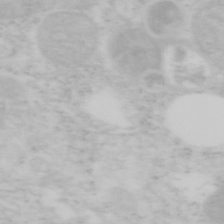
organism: Mouse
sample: OT-I killer T cells with ID8 ovarian cancer cells